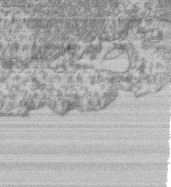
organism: Mouse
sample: T cell stromal cell synapse